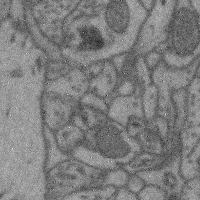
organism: Mouse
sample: Cerebral cortex